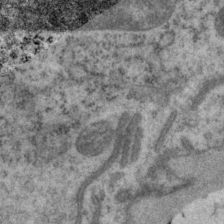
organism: P. pacificus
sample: Pharynx